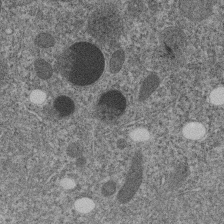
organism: C. elegans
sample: C. elegans embryo early stage